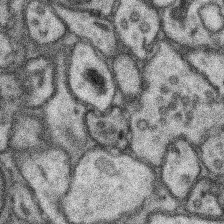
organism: Mouse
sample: Somatosensory cortex neuropil